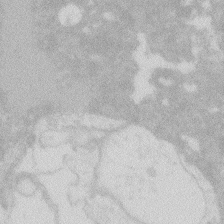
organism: Zebrafish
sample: Macrophage